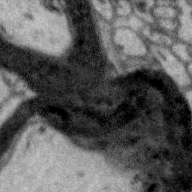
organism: Zebra finch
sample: Brain